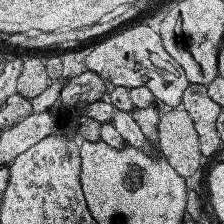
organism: Human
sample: Temporal Lobe